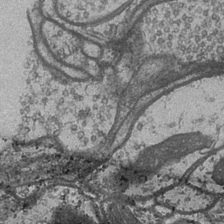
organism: Drosophila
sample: Optic medulla